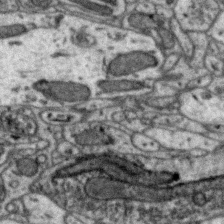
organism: Zebra finch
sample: Brain